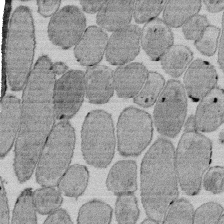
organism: E. coli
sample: Bacterial nucleoid